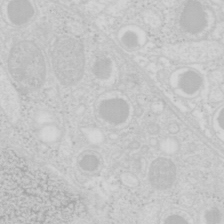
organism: Mouse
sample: Pancreas